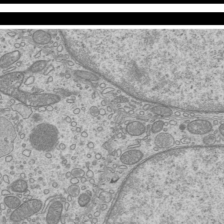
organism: Mouse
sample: Cilia; mouse epididymis